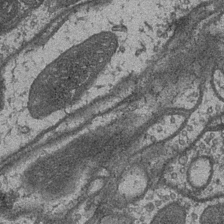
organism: Drosophila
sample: Optic medulla